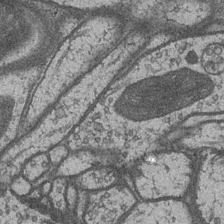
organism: Drosophila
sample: Optic medulla